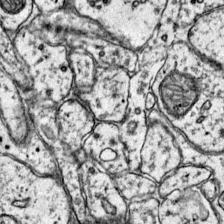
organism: Mouse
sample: Primary visual cortex